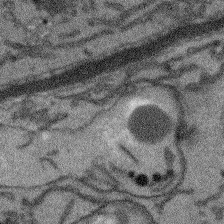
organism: Arabidopsis thaliana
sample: Root tip